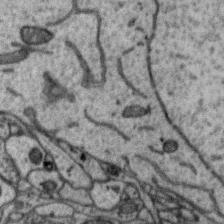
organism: Zebra finch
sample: Brain